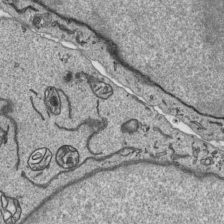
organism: Human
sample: Mitochondria in HCT116 cells